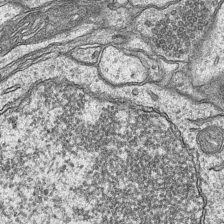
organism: Mouse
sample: CA1 Hippocampus